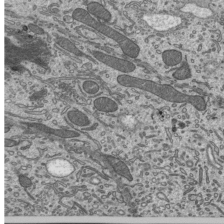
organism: Mouse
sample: Mouse epididymis efferent ductule cilia